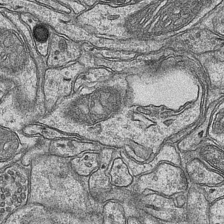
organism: Mouse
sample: CA1 Hippocampus